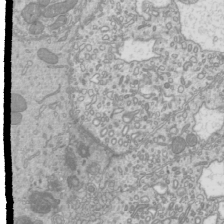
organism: Mouse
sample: Cilia; mouse epididymis